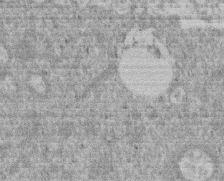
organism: Mouse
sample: Dividing mouse embryo 1 cell stage